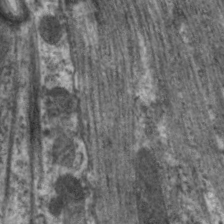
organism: C. elegans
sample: Pharynx